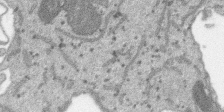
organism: Human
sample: Lung epithelial cells infected with SARS-CoV-2